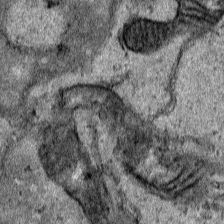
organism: Human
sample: Mitochondria in HCT116 cells